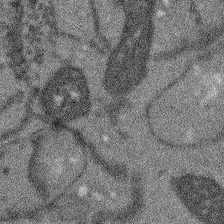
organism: Arabidopsis thaliana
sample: Root tip